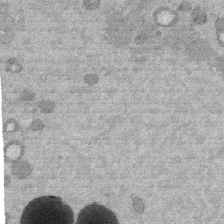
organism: Mouse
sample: Dividing mouse embryo 1 cell stage